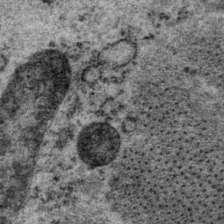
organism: P. pacificus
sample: Pharynx